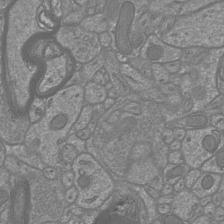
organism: Mouse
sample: Cortical neurons